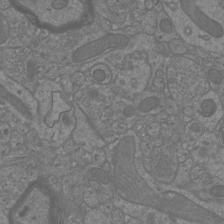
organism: Mouse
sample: Cortical neurons